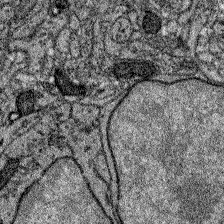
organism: Zebrafish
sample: Larval olfactory bulb